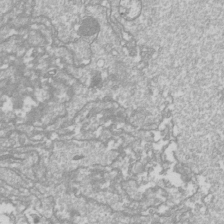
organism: Drosophila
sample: Cell division; meiosis; drosophila spermatocytes